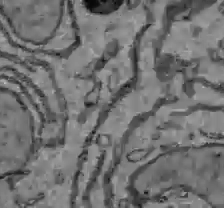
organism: C57BL Mouse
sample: Liver